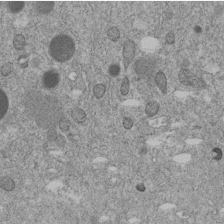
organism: C. elegans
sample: C. elegans embryo early stage